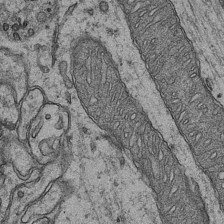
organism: Mouse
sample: CA1 Hippocampus